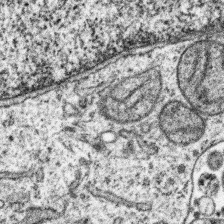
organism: Human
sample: HeLa cells